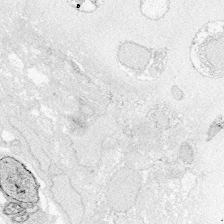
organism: Zebrafish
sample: Whole-Brain